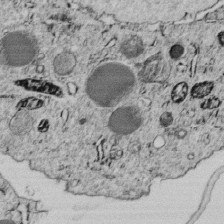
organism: C. elegans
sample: C. elegans embryo early stage